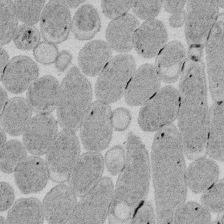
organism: E. coli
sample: Bacterial nucleoid